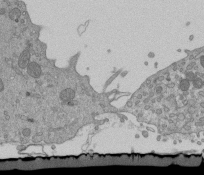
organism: Mouse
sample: ED-1 cell nuclei; centrioles